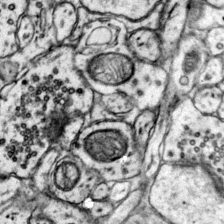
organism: Mouse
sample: Primary visual cortex